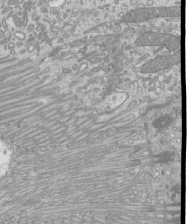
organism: Mouse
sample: Cilia; mouse epididymis